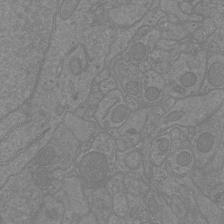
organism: Mouse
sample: Cortical neurons